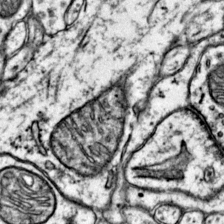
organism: Mouse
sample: Primary visual cortex